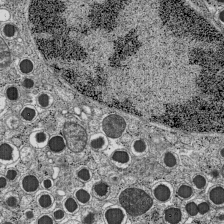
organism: C57BL Mouse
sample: Pancreatic islet